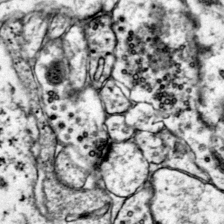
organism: Mouse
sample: Primary visual cortex